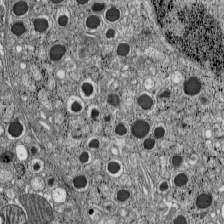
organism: C57BL Mouse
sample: Pancreatic islet